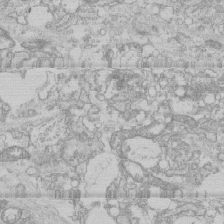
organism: Human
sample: CRL-1474